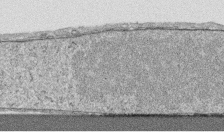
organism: Human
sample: CRL-1474